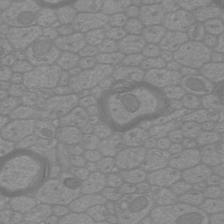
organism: Mouse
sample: Cortical neurons